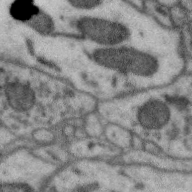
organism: Zebra finch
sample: Brain